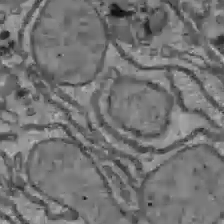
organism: C57BL Mouse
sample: Liver